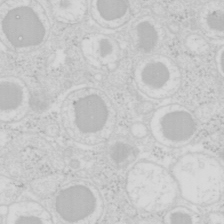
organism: Mouse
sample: Pancreas